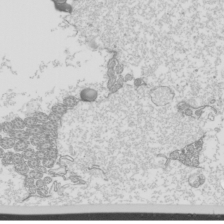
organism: Mouse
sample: Cilia; mouse epididymis